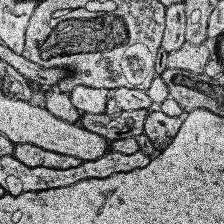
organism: Human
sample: Temporal Lobe